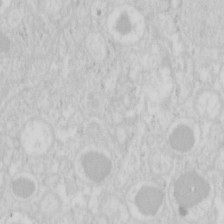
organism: Mouse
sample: Pancreas